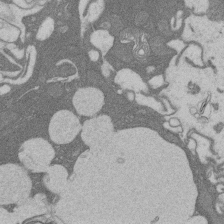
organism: Rat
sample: Salivary granule